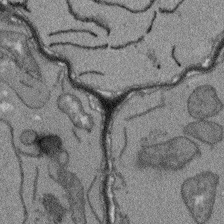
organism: Arabidopsis thaliana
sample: Root tip